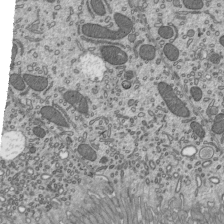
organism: Mouse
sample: Mouse epididymis efferent ductule cilia